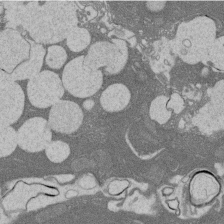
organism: Rat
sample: Salivary granule